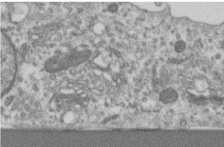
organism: Human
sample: Centriole in RPE cells